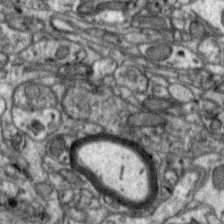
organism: Zebra finch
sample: Brain